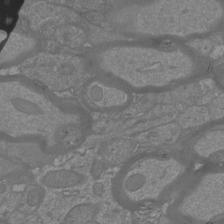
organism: Mouse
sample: Cortical neurons